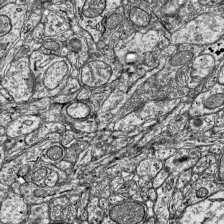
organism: Mouse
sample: Visual Cortex